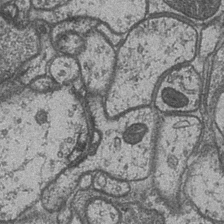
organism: Drosophila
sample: Optic medulla